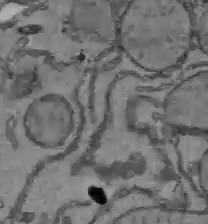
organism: C57BL Mouse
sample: Liver